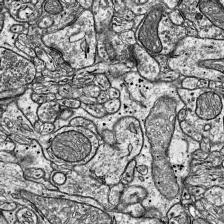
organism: Mouse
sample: Visual Cortex